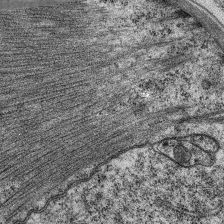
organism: C. elegans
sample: Pharynx